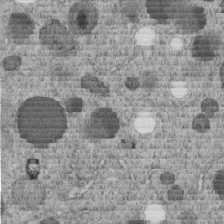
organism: C. elegans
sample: C. elegans embryo early stage